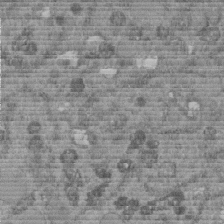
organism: C. elegans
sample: C. elegans embryo early stage